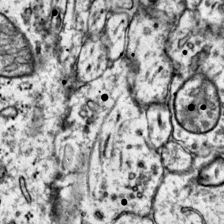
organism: Mouse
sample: Primary visual cortex